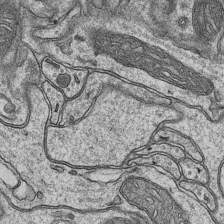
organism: Mouse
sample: CA1 Hippocampus